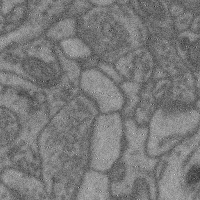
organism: Mouse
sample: Cerebral cortex